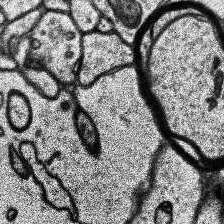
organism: Human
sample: Temporal Lobe